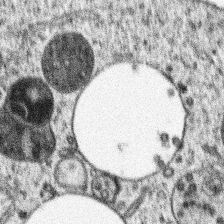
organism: Human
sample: HeLa cells